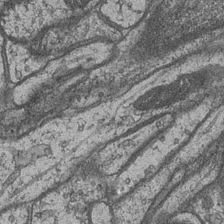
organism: Drosophila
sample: Optic medulla